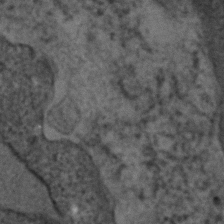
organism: Human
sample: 1205lu cells